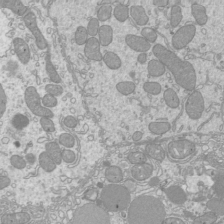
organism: Mouse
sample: Cilia; mouse epididymis